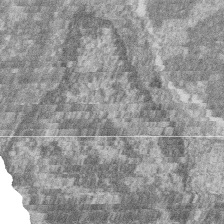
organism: Zebrafish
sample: Cilia; retinal pigment epithelium